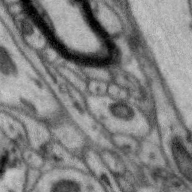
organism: Zebra finch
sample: Brain